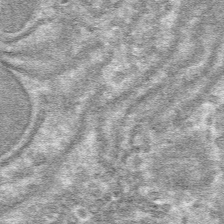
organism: Mouse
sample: Mouse hepatocytes